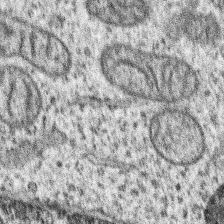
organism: Human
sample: HeLa cells